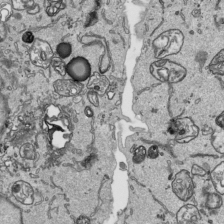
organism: Human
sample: Mitochondria in HCT116 cells